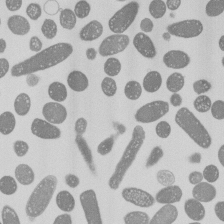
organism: E. coli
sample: Bacterial nucleoid